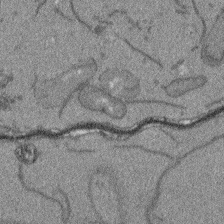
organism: Arabidopsis thaliana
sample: Root tip